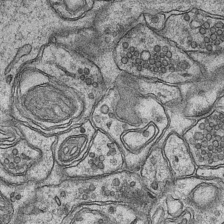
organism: Mouse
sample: CA1 Hippocampus